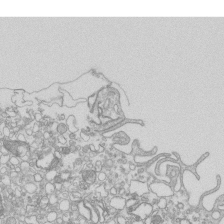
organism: Mouse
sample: Macrophages